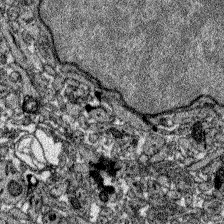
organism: Zebrafish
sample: Larval olfactory bulb